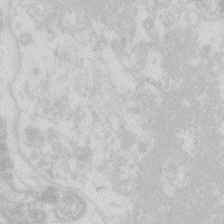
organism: Zebrafish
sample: Macrophage